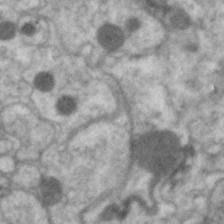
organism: C. elegans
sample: Pharynx